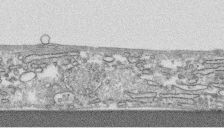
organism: Human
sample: CRL-1474